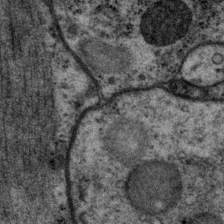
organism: P. pacificus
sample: Pharynx